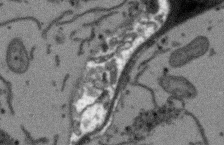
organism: Arabidopsis thaliana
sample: Root tip